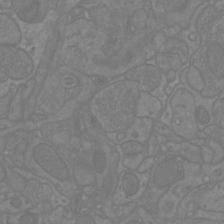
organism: Mouse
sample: Cortical neurons